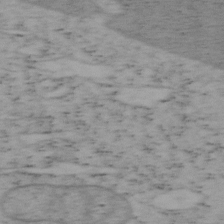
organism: Mouse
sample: OT-I killer T cells with ID8 ovarian cancer cells